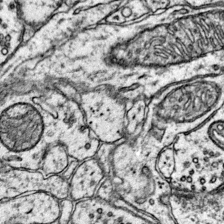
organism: Mouse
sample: Primary visual cortex